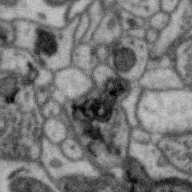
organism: Zebra finch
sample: Brain